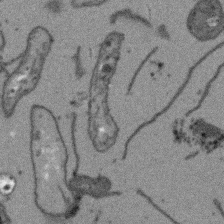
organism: Arabidopsis thaliana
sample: Root tip